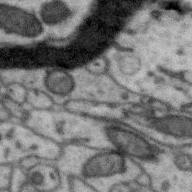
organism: Zebra finch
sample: Brain